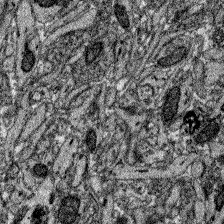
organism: Zebrafish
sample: Larval olfactory bulb